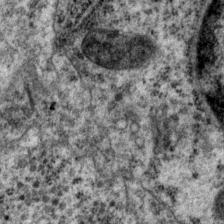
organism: P. pacificus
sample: Pharynx